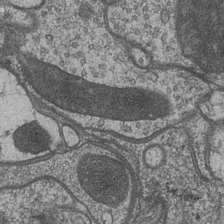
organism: Drosophila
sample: Optic medulla